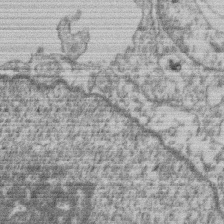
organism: Mouse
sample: T cell stromal cell synapse